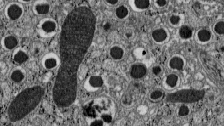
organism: C57BL Mouse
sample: Pancreatic islet